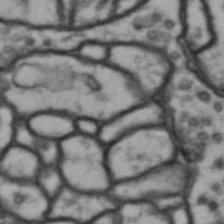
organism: Drosophila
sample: Brain